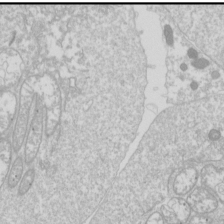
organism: Drosophila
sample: Cell division; meiosis; drosophila spermatocytes